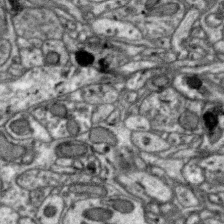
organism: Zebra finch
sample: Brain